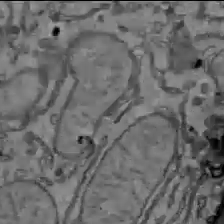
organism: C57BL Mouse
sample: Liver